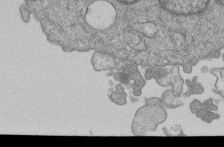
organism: Human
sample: MDA-MB-231 cells